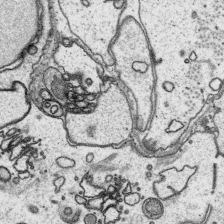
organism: Platynereis dumerilii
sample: Parapodia